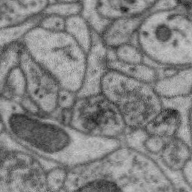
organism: Zebra finch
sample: Brain